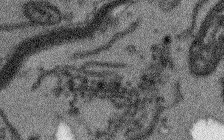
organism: Arabidopsis thaliana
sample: Root tip